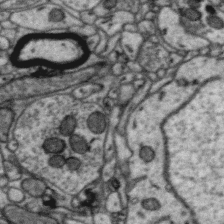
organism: Zebra finch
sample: Brain